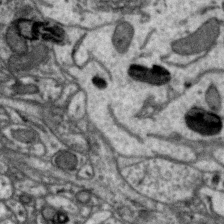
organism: Zebra finch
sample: Brain